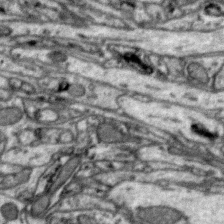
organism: Zebra finch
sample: Brain